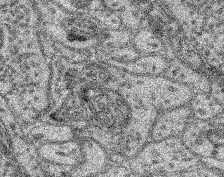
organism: Mouse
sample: Retina